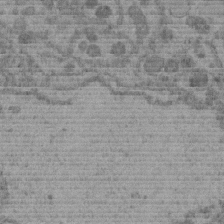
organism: C. elegans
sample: C. elegans embryo early stage